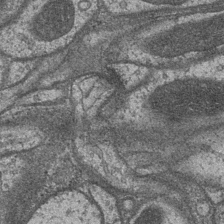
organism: Drosophila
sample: Optic medulla